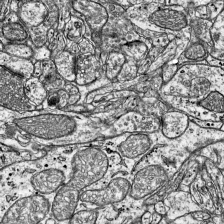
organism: Mouse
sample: Visual Cortex